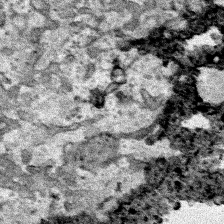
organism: Human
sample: Mitochondria in HCT116 cells